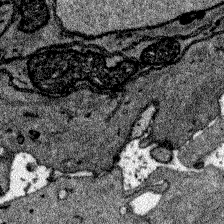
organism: Zebrafish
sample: Larval olfactory bulb